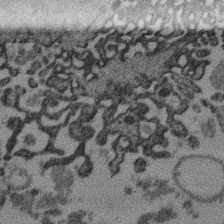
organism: Mouse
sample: Dividing mouse embryo 1 cell stage